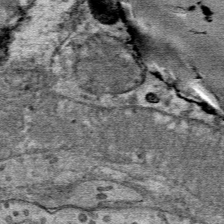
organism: Mouse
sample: Mouse Salivary gland